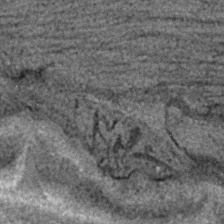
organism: C. elegans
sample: C. elegans embryo